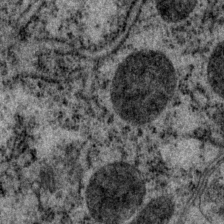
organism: P. pacificus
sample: Pharynx